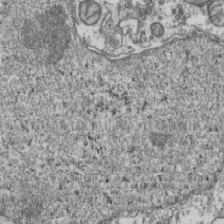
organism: Human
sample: Activated Jurkat CD4+ T cells